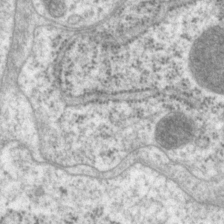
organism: P. pacificus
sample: Pharynx